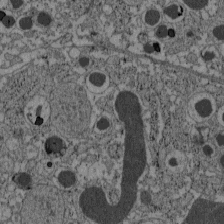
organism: C57BL Mouse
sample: Pancreatic islet